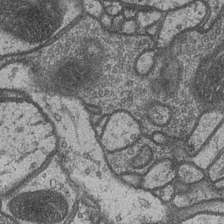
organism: Drosophila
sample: Optic medulla